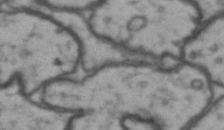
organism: Drosophila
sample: Brain